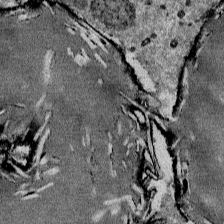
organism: Mouse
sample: Mouse Salivary gland